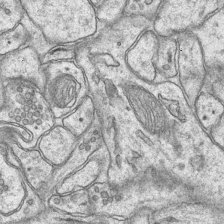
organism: Mouse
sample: CA1 Hippocampus